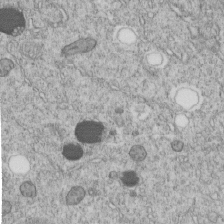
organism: C. elegans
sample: C. elegans embryo early stage